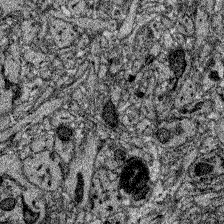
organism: Zebrafish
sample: Larval olfactory bulb